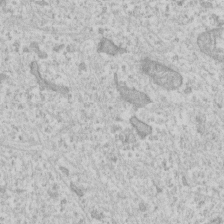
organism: Human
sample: Fibroblast cells